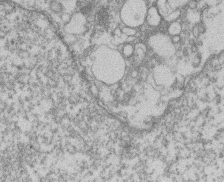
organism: Mouse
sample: T cell stromal cell synapse